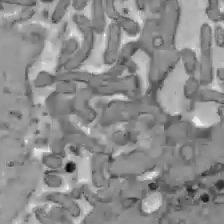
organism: C57BL Mouse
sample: Liver